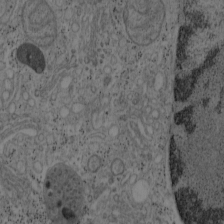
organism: Mouse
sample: OT-I killer T cells with ID8 ovarian cancer cells